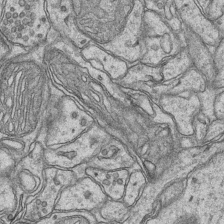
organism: Mouse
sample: CA1 Hippocampus